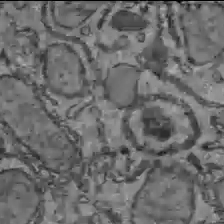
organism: C57BL Mouse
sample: Liver